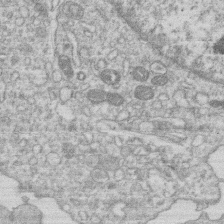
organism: Human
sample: Macrophage cells